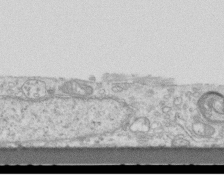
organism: Mouse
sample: Centriole in ependymal cells